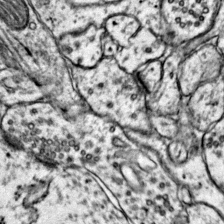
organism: Mouse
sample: Primary visual cortex